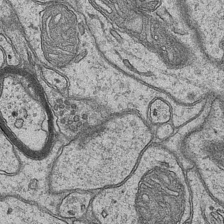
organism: Mouse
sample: CA1 Hippocampus